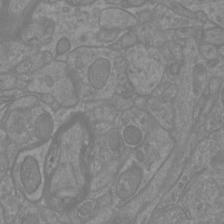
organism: Mouse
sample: Cortical neurons